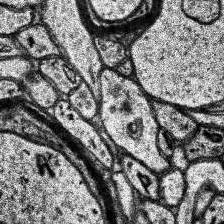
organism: Human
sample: Temporal Lobe